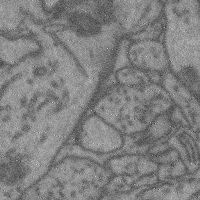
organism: Mouse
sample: Cerebral cortex